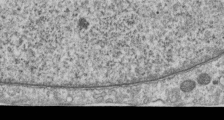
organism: Human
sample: Centriole in RPE cells